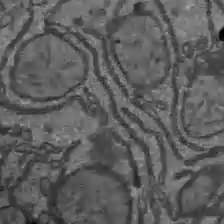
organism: C57BL Mouse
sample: Liver